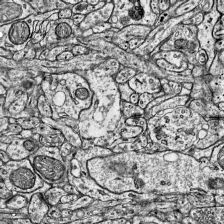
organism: Mouse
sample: Visual Cortex